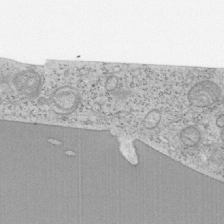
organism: Human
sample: HeLa cells